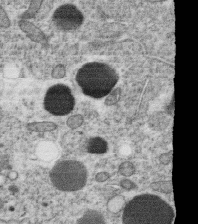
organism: C. elegans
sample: C. elegans oocyte; sperm cells